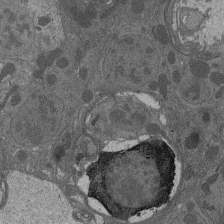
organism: Drosophila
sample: Antenna